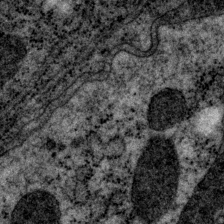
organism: P. pacificus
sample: Pharynx